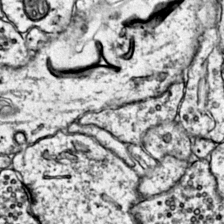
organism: Mouse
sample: Primary visual cortex